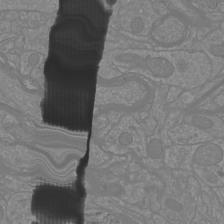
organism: Mouse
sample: Cortical neurons